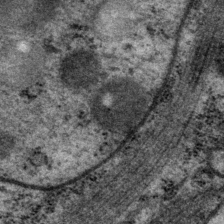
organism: P. pacificus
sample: Pharynx